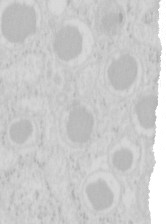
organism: Mouse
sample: Pancreas